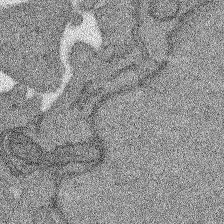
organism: Human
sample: HeLa cells